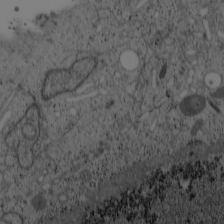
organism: African green monkey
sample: COS-7 cells